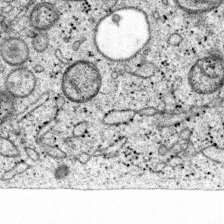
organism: Human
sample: HeLa cells